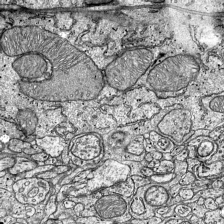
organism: Mouse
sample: Visual Cortex